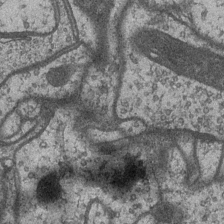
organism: Drosophila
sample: Optic medulla